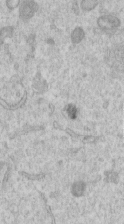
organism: Human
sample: Centriole in RPE cells